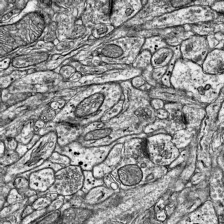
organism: Mouse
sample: Visual Cortex